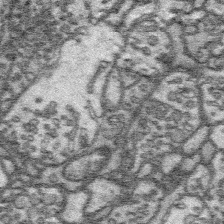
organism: Platynereis dumerilii